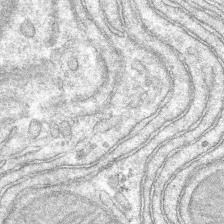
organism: Mouse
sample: Mouse hepatocytes